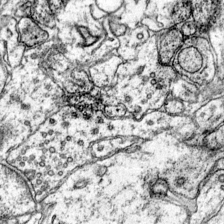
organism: Mouse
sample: Primary visual cortex